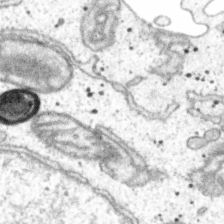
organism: Human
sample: HeLa cells